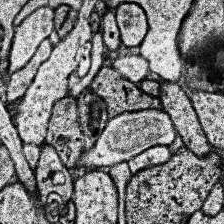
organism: Human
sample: Temporal Lobe